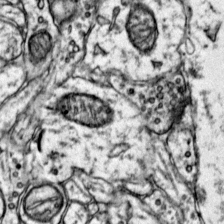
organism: Mouse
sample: Primary visual cortex